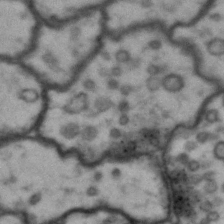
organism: Drosophila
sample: Brain